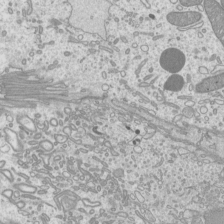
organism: Mouse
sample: Cilia; mouse epididymis